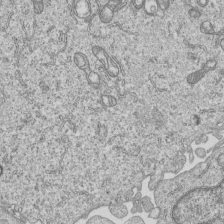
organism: Human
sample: MDA-MB-231 cells